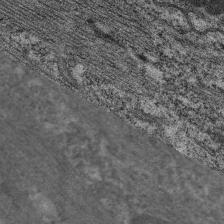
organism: C. elegans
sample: Pharynx